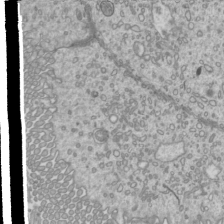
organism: Mouse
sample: Cilia; mouse epididymis